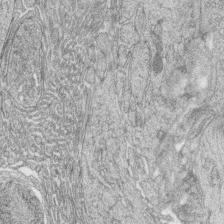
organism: Zebrafish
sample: synaptic ribbons in rod cells and cone cells